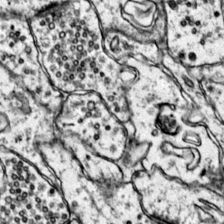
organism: Mouse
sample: Primary visual cortex